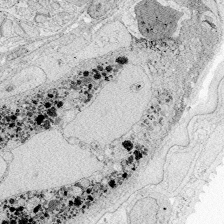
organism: Zebrafish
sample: Whole-Brain